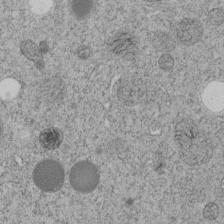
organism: C. elegans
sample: C. elegans embryo early stage